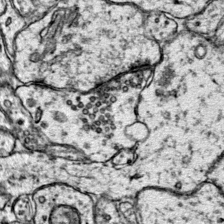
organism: Mouse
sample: Primary visual cortex